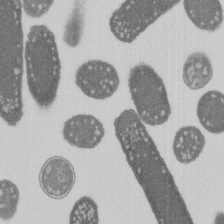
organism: E. coli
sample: Bacterial nucleoid